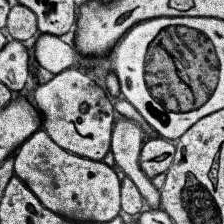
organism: Human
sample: Temporal Lobe